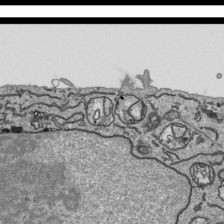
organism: Human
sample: Mitochondria in HCT116 cells